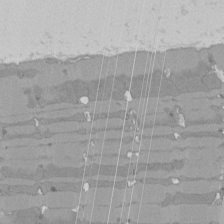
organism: Rat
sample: Left ventricle